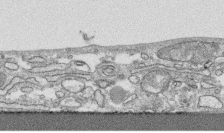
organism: Human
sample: CRL-1474